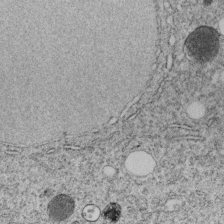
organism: C. elegans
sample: C. elegans embryo early stage